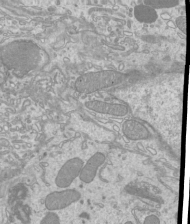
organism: Mouse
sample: Cilia; mouse epididymis